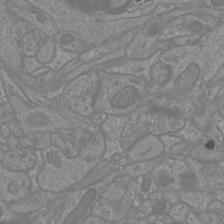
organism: Mouse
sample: Cortical neurons